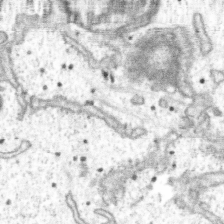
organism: Human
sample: HeLa cells